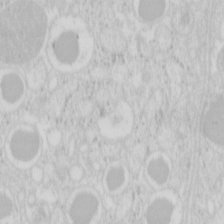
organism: Mouse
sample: Pancreas